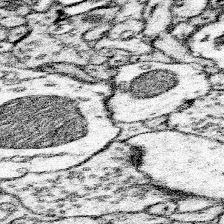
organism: Mouse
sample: Somatosensory cortex neuropil